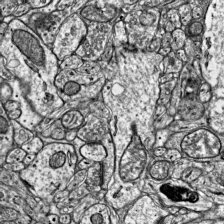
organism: Mouse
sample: Visual Cortex